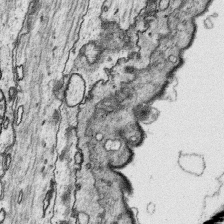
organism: Platynereis dumerilii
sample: Parapodia